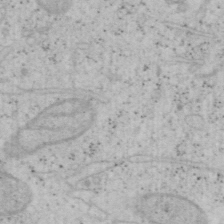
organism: Human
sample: HeLa cells